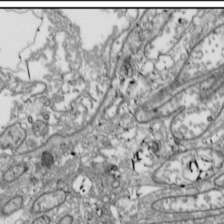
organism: Drosophila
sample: Cell division; meiosis; drosophila spermatocytes